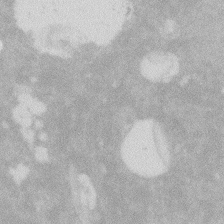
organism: Zebrafish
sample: Macrophage